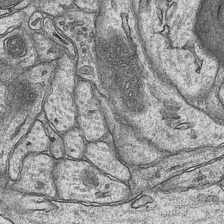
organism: Mouse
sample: CA1 Hippocampus